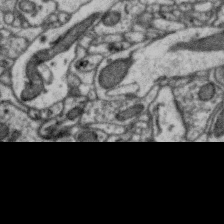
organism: Zebra finch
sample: Brain